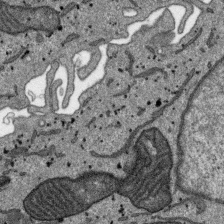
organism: Human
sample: Lung epithelial cells, uninfected (mock) control